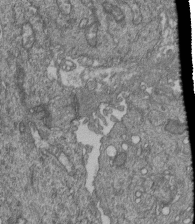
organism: Human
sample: Retinal organoid Rod and Cone cells